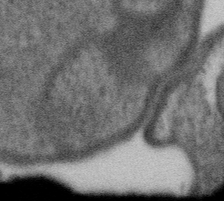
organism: Gemmata obscuriglobus